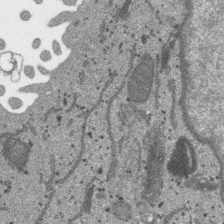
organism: Human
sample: Lung epithelial cells infected with SARS-CoV-2